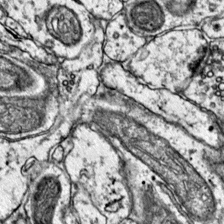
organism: Mouse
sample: Primary visual cortex